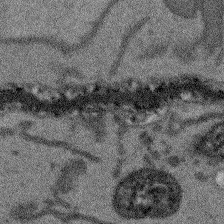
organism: Arabidopsis thaliana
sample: Root tip